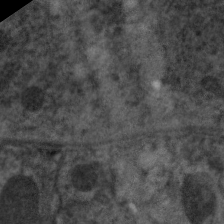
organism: C. elegans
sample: Pharynx